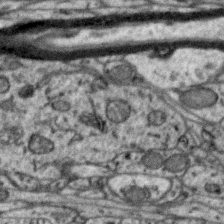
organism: Zebra finch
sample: Brain